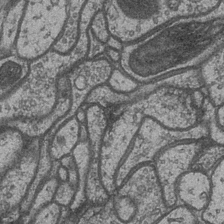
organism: Drosophila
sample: Optic medulla